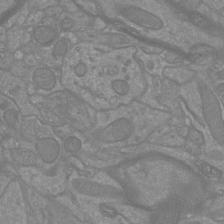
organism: Mouse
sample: Cortical neurons